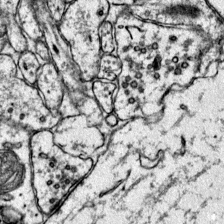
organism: Mouse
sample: Primary visual cortex